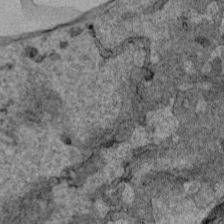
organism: Human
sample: Mitochondria in HCT116 cells